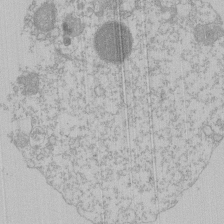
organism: Mouse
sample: Activated Pmel transgenic CD8+ T Cells